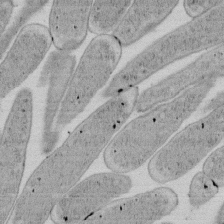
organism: E. coli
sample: Bacterial nucleoid